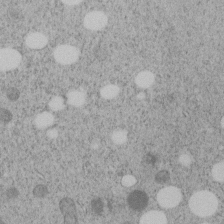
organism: C. elegans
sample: C. elegans embryo early stage